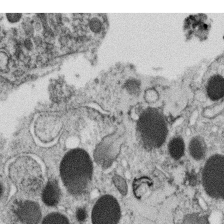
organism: C. elegans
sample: C. elegans oocyte; sperm cells